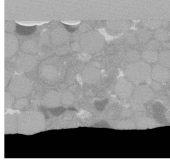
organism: C. elegans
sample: C. elegans oocyte; sperm cells